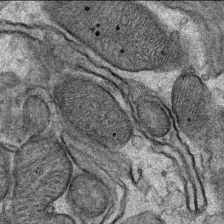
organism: Mouse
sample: Mouse Salivary gland